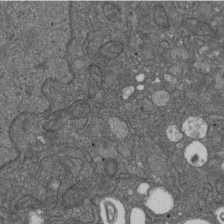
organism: Drosophila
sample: Nephrocyte